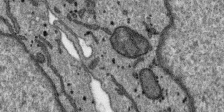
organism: Human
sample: Lung epithelial cells, uninfected (mock) control